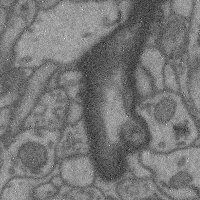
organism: Mouse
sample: Cerebral cortex